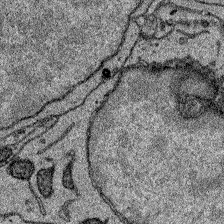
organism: Zebrafish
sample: Larval olfactory bulb